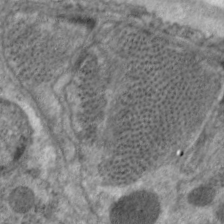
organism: C. elegans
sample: Pharynx